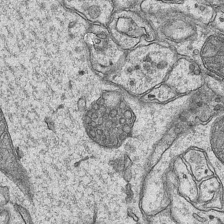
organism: Mouse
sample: CA1 Hippocampus